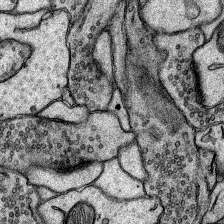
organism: Rat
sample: Hippocampus